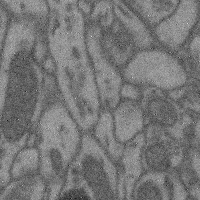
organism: Mouse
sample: Cerebral cortex